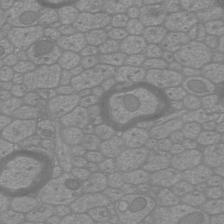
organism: Mouse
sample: Cortical neurons